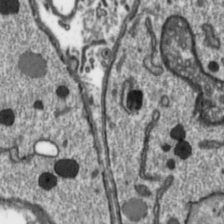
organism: Toxoplasma gondii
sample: Parasites in a vacuole inside a host cell